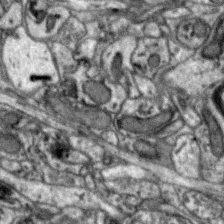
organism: Zebra finch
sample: Brain